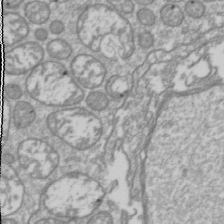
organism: Drosophila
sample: Cell division; meiosis; drosophila spermatocytes